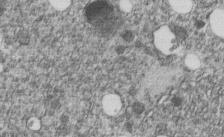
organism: C. elegans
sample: C. elegans embryo early stage